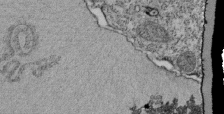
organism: Tetrahymena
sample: Cilia in tetrahymena